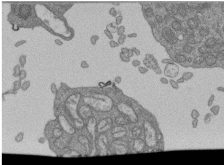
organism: Human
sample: Retinal organoid Rod and Cone cells